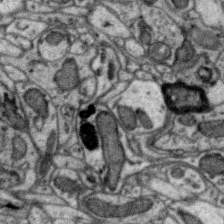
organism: Zebra finch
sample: Brain